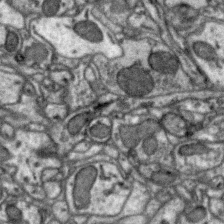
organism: Zebra finch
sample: Brain